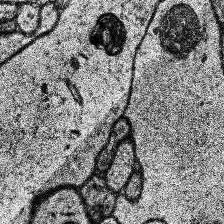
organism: Human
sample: Temporal Lobe